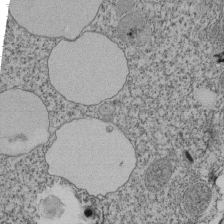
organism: Tetrahymena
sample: Cilia in tetrahymena